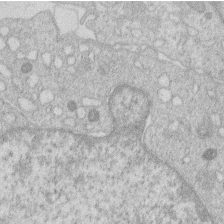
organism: Human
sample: Macrophage cells